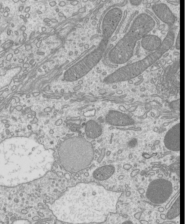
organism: Mouse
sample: Cilia; mouse epididymis